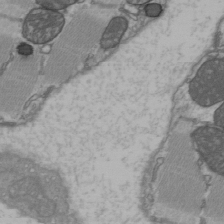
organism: C57BL Mouse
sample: Heart